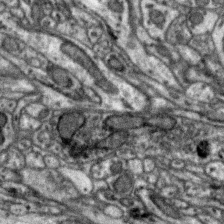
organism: Zebra finch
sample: Brain